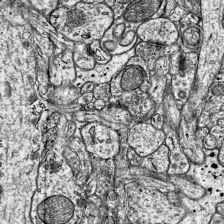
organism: Mouse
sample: Visual Cortex